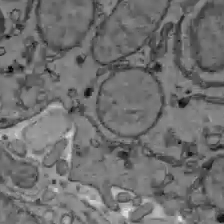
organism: C57BL Mouse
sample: Liver